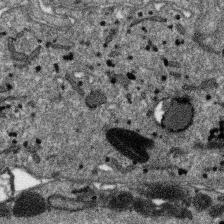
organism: Human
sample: Lung epithelial cells infected with SARS-CoV-2